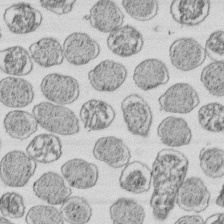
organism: E. coli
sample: Bacterial nucleoid